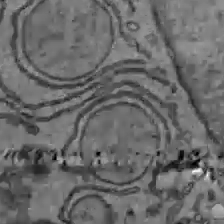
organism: C57BL Mouse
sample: Liver